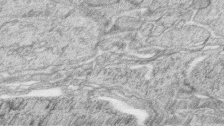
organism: Zebrafish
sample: synaptic ribbons in rod cells and cone cells